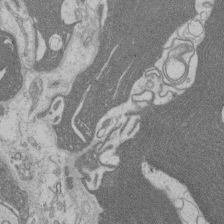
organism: Rat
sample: Salivary granule